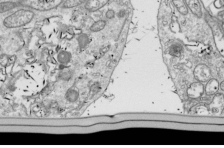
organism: Drosophila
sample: Cell division; meiosis; drosophila spermatocytes